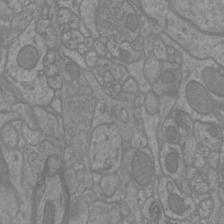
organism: Mouse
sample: Cortical neurons